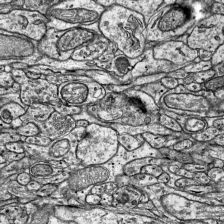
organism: Mouse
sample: Visual Cortex